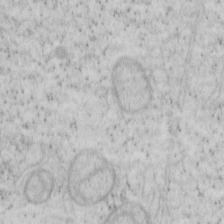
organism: Human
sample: HeLa cells